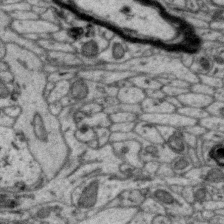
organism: Zebra finch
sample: Brain